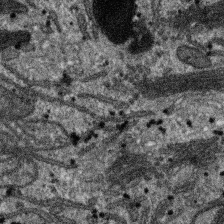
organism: Human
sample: Lung epithelial cells infected with SARS-CoV-2